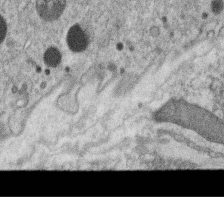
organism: C. elegans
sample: C. elegans oocyte; sperm cells